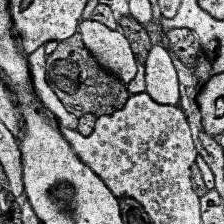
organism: Human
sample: Temporal Lobe